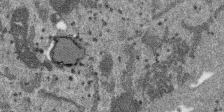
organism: Human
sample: Lung epithelial cells infected with SARS-CoV-2